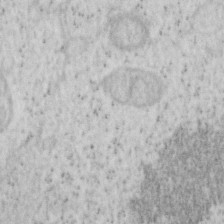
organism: Human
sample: HeLa cells